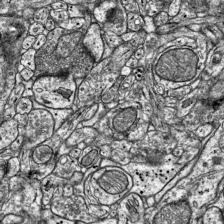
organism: Mouse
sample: Visual Cortex